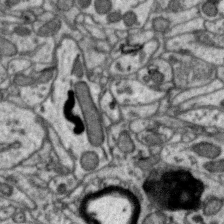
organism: Zebra finch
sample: Brain